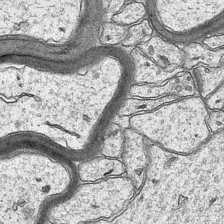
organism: Mouse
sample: CA1 Hippocampus